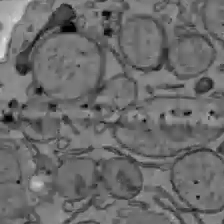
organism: C57BL Mouse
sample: Liver